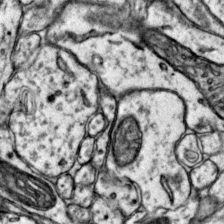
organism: Mouse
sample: Primary visual cortex